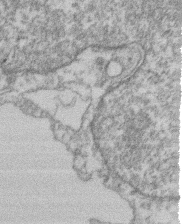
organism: Mouse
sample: T cell stromal cell synapse